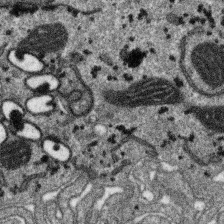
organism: Human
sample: Lung epithelial cells infected with SARS-CoV-2